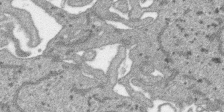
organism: Human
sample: Lung epithelial cells infected with SARS-CoV-2